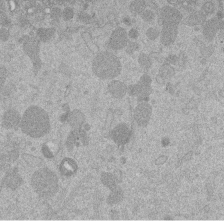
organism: Mouse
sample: Dividing mouse embryo 1 cell stage